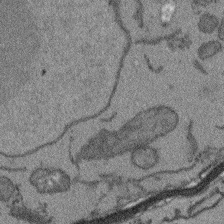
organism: Arabidopsis thaliana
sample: Root tip